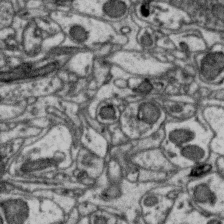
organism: Zebra finch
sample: Brain